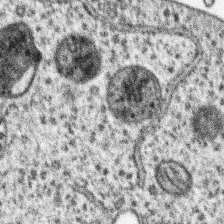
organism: Human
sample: HeLa cells